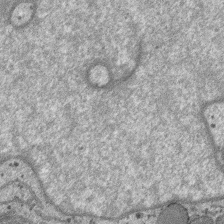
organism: Human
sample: Lung epithelial cells infected with SARS-CoV-2